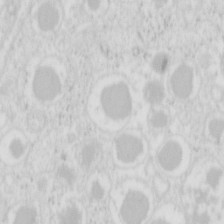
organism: Mouse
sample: Pancreas